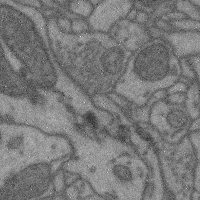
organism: Mouse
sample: Cerebral cortex